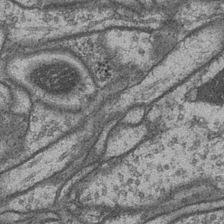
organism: Drosophila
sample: Optic medulla